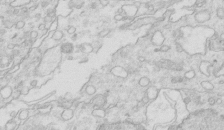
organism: Mouse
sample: Multiciliated cells